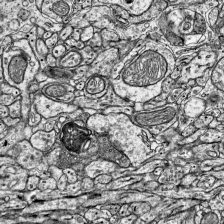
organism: Mouse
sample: Visual Cortex